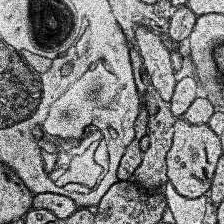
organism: Human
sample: Temporal Lobe